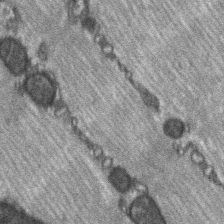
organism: C57BL Mouse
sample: Soleus